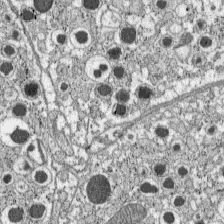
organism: C57BL Mouse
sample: Pancreatic islet